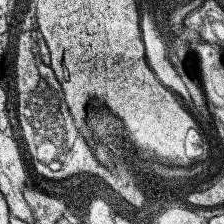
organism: Human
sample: Temporal Lobe